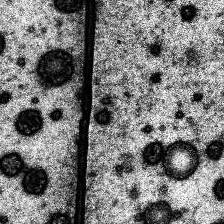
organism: Human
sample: Temporal Lobe